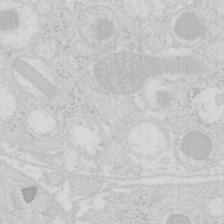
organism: Mouse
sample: Pancreas